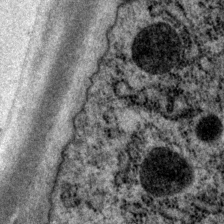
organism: P. pacificus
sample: Pharynx